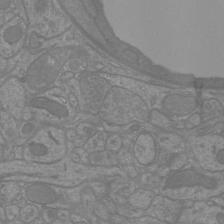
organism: Mouse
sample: Cortical neurons